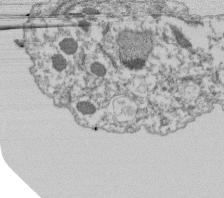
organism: Dictyostelium discoideum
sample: Dictyostelium multivesicular bodies